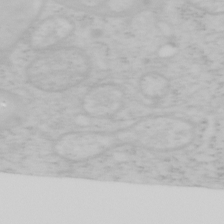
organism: Mouse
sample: OT-I killer T cells with ID8 ovarian cancer cells